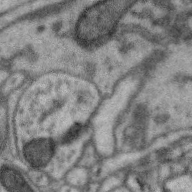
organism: Zebra finch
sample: Brain